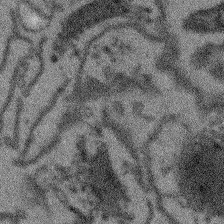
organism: Arabidopsis thaliana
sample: Root tip